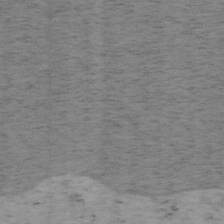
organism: Mouse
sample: OT-I killer T cells with ID8 ovarian cancer cells